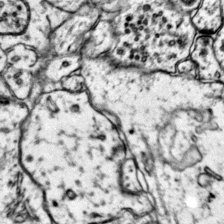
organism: Mouse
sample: Primary visual cortex